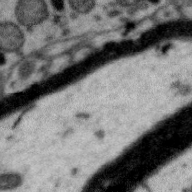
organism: Zebra finch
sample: Brain